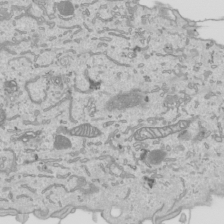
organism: Human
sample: Mitochondria in HCT116 cells